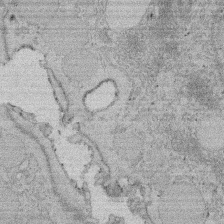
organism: Rat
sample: Salivary granule